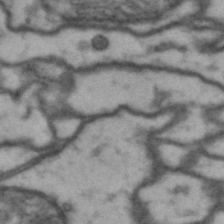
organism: Drosophila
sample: Brain